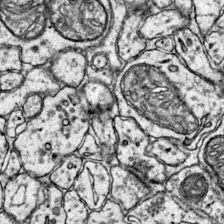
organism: Mouse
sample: Primary visual cortex